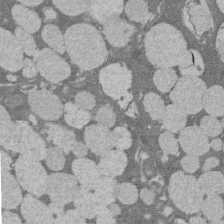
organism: Rat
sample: Salivary granule